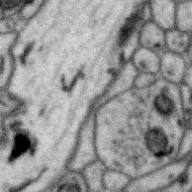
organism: Zebra finch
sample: Brain